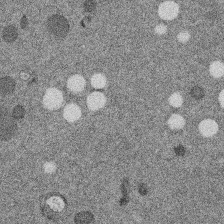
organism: C. elegans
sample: C. elegans embryo early stage